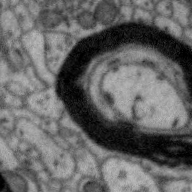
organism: Zebra finch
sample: Brain